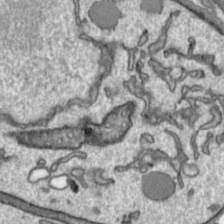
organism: Toxoplasma gondii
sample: Parasites in a vacuole inside a host cell